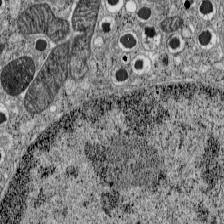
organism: C57BL Mouse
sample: Pancreatic islet